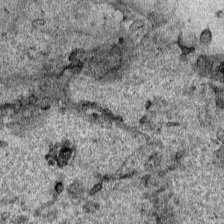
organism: Human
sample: Mitochondria in HCT116 cells